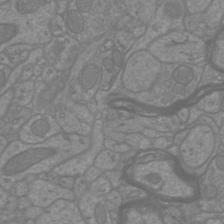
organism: Mouse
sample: Cortical neurons